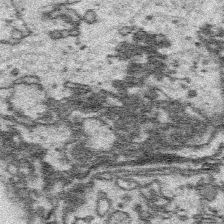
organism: Platynereis dumerilii